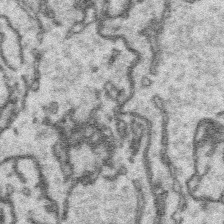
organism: Platynereis dumerilii